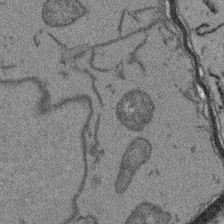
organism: Arabidopsis thaliana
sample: Root tip